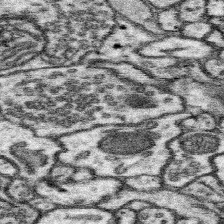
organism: Mouse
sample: Somatosensory cortex neuropil